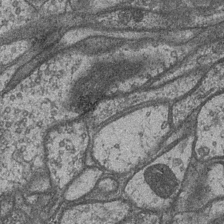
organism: Drosophila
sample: Optic medulla